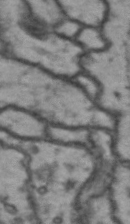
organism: Drosophila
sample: Brain